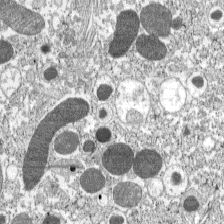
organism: C57BL Mouse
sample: Pancreatic islet